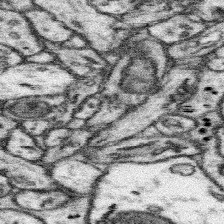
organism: Mouse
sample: Somatosensory cortex neuropil